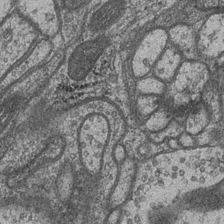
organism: Drosophila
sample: Optic medulla